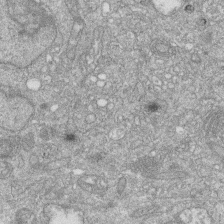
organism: Human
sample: HeLa cell HIV synapse